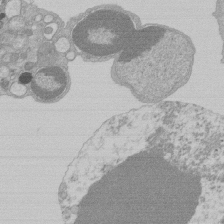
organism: Mouse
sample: Activated Pmel transgenic CD8+ T Cells